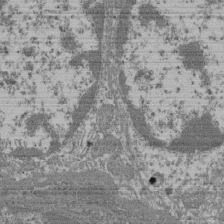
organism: Mouse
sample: Glomerulus